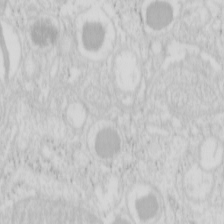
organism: Mouse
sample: Pancreas